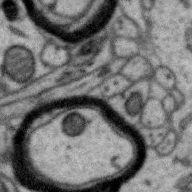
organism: Zebra finch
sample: Brain